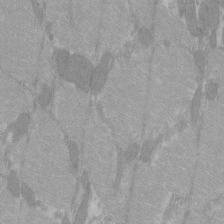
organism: C57BL Mouse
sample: Tibialis anterior muscle cell